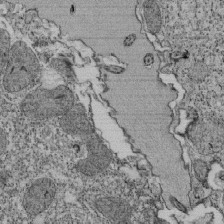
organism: Tetrahymena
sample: Cilia in tetrahymena